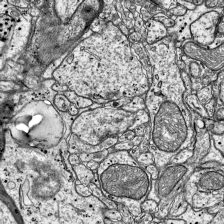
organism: Mouse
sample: Visual Cortex